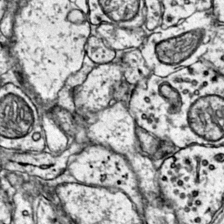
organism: Mouse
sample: Primary visual cortex